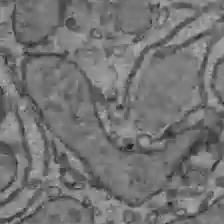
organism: C57BL Mouse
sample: Liver